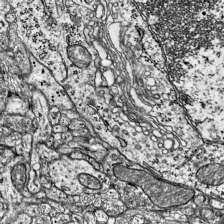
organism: Mouse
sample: Visual Cortex